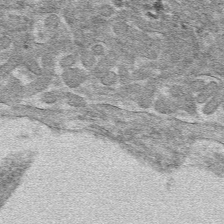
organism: Mouse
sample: Mouse hepatocytes